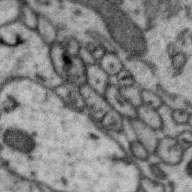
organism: Zebra finch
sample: Brain